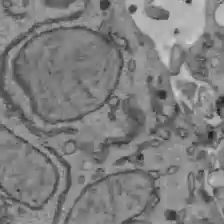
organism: C57BL Mouse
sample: Liver